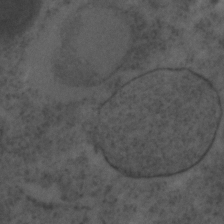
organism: C. elegans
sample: C. elegans embryo